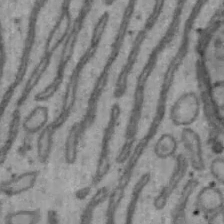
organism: Mouse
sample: Liver